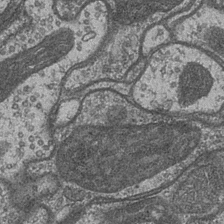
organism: Drosophila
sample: Optic medulla